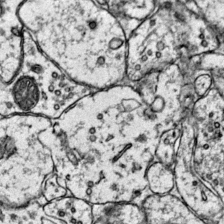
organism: Mouse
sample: Primary visual cortex